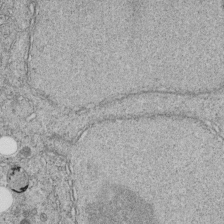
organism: C. elegans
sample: C. elegans embryo early stage